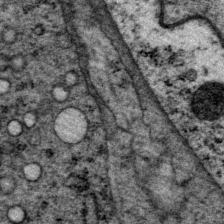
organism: P. pacificus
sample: Pharynx